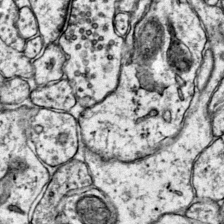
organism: Mouse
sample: Primary visual cortex